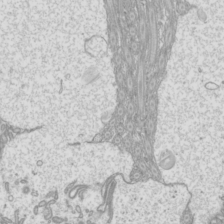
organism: Mouse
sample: Cilia; mouse epididymis